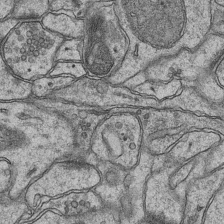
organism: Mouse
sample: CA1 Hippocampus